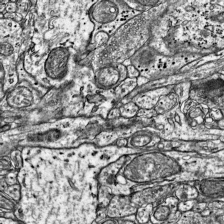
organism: Mouse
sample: Visual Cortex